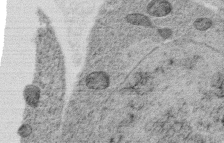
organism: C. elegans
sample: C. elegans oocyte; sperm cells